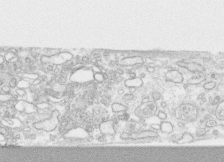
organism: Human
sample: CRL-1474